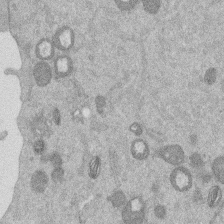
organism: Mouse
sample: Dividing mouse embryo 1 cell stage